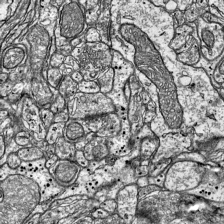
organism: Mouse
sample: Visual Cortex